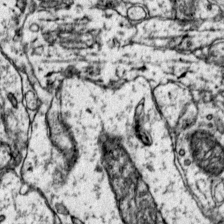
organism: Mouse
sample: Primary visual cortex